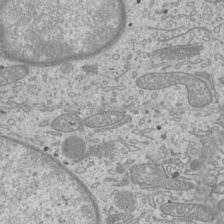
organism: Mouse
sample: Cilia; mouse epididymis